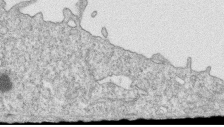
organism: Human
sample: HeLa cell HIV synapse